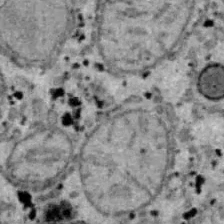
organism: Mouse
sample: Liver from an obese (ob/ob) mouse